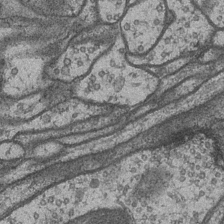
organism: Drosophila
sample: Optic medulla